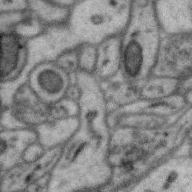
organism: Zebra finch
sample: Brain